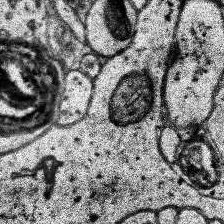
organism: Human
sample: Temporal Lobe